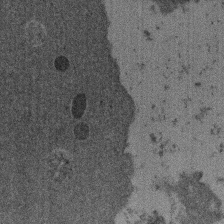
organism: Mouse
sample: Dividing mouse embryo 1 cell stage